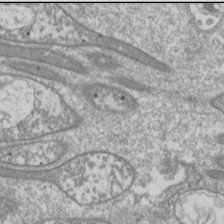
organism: Drosophila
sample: Cell division; meiosis; drosophila spermatocytes